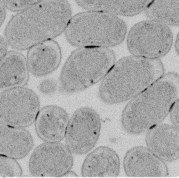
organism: E. coli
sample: Bacterial nucleoid